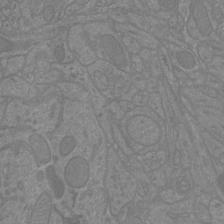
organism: Mouse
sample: Cortical neurons